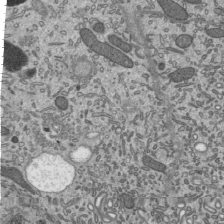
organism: Mouse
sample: Mouse epididymis efferent ductule cilia